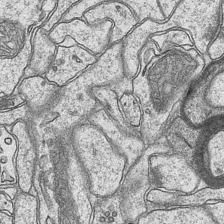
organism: Mouse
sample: CA1 Hippocampus